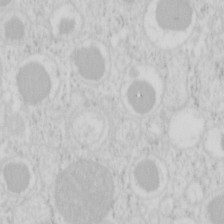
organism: Mouse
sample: Pancreas